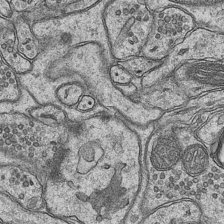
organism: Mouse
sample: CA1 Hippocampus